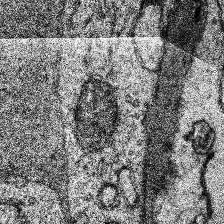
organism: Human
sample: Temporal Lobe